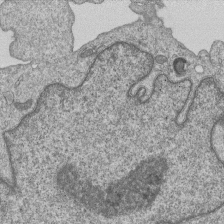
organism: Human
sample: MDA-MB-231 cells